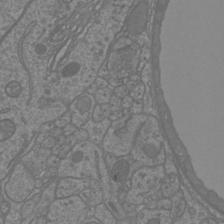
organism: Mouse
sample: Cortical neurons